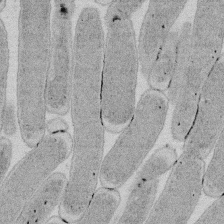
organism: E. coli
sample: Bacterial nucleoid